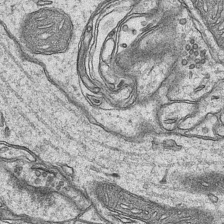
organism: Mouse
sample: CA1 Hippocampus